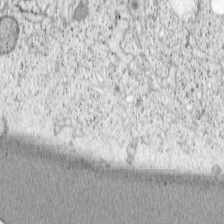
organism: African green monkey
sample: COS-7 cells